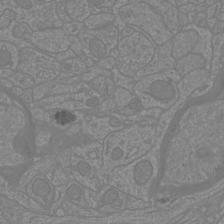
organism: Mouse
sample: Cortical neurons